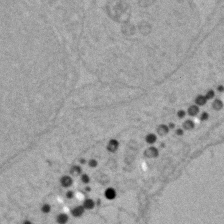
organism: Zebrafish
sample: Zebrafish embryo